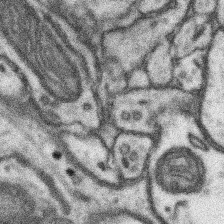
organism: Mouse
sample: Somatosensory cortex neuropil